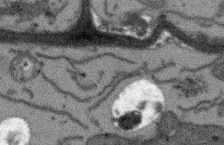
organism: Arabidopsis thaliana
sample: Root tip